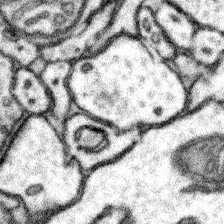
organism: Mouse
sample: Somatosensory cortex neuropil